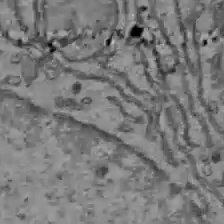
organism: C57BL Mouse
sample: Liver